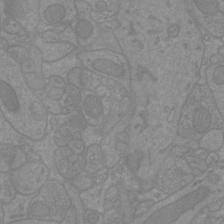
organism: Mouse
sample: Cortical neurons